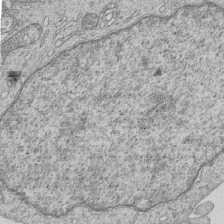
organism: Human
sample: MDA-MB-231 cells